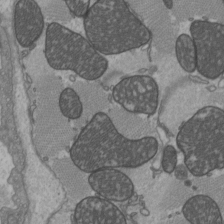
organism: C57BL Mouse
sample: Heart